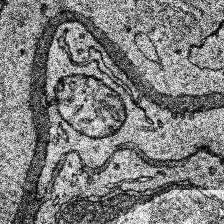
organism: Human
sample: Temporal Lobe